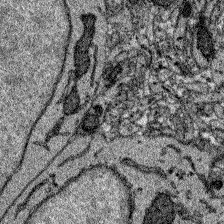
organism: Zebrafish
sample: Larval olfactory bulb